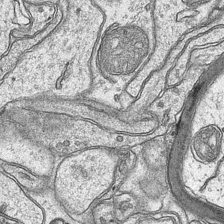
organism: Mouse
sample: CA1 Hippocampus